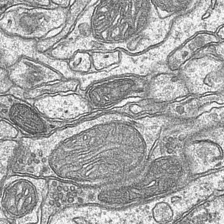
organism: Mouse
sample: CA1 Hippocampus